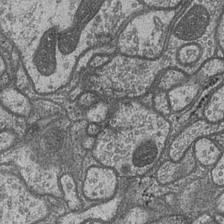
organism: Drosophila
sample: Optic medulla